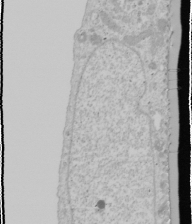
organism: Human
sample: Mitochondria in U2OS cells